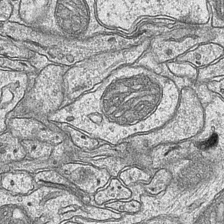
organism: Mouse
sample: CA1 Hippocampus